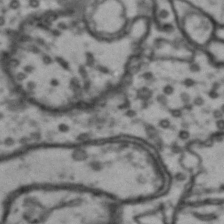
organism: Drosophila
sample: Brain